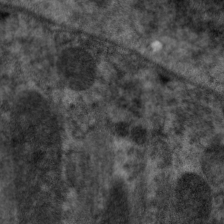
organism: C. elegans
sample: Pharynx